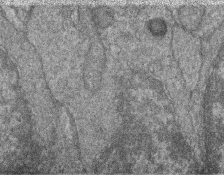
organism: Zebrafish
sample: Cilia; retinal pigment epithelium